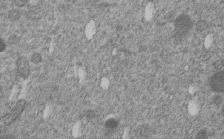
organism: C. elegans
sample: C. elegans embryo early stage